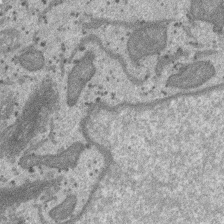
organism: Human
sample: Lung epithelial cells infected with SARS-CoV-2